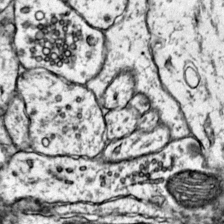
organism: Mouse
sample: Primary visual cortex